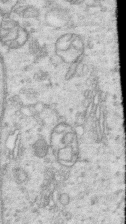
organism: Human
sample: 1205lu cells